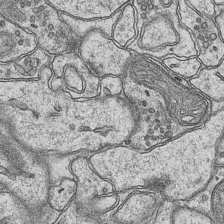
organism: Mouse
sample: CA1 Hippocampus